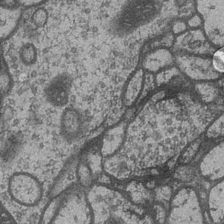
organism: Drosophila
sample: Optic medulla